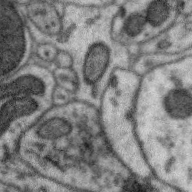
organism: Zebra finch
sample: Brain